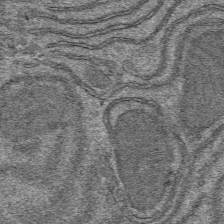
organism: Mouse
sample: Mouse hepatocytes